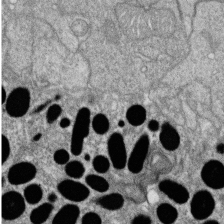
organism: Zebrafish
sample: Cilia; retinal pigment epithelium